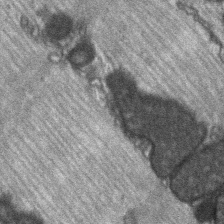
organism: C57BL Mouse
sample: Soleus